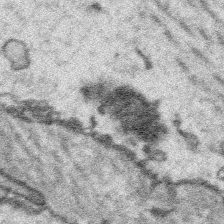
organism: Platynereis dumerilii